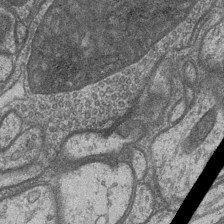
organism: Drosophila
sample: Optic medulla